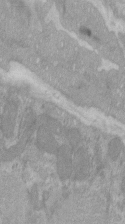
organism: C57BL Mouse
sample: Tibialis anterior muscle cell